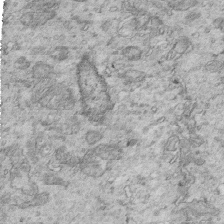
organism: Mouse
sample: Multiciliated cells